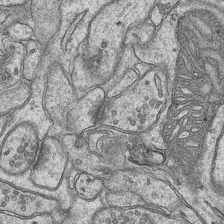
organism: Mouse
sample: CA1 Hippocampus